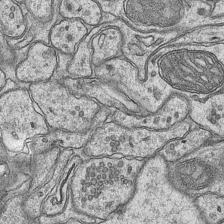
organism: Mouse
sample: CA1 Hippocampus